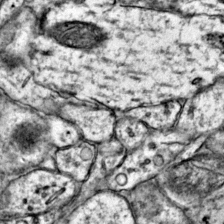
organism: Mouse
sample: Primary visual cortex